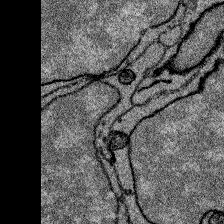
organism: Zebrafish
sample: Larval olfactory bulb